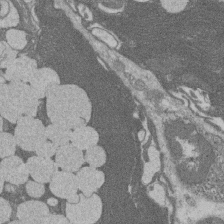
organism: Rat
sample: Salivary granule